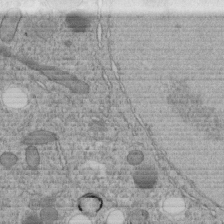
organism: C. elegans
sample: C. elegans embryo early stage